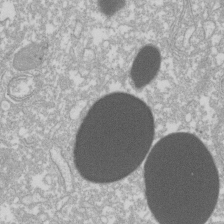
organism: Xenopus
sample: Cilia; centrioles in frog embryo cells